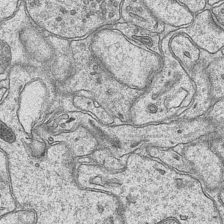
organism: Mouse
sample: CA1 Hippocampus